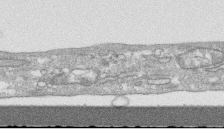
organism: Human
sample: CRL-1474